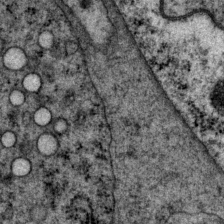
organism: P. pacificus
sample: Pharynx